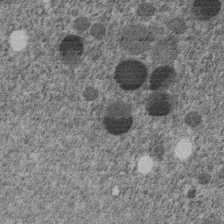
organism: C. elegans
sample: C. elegans embryo early stage